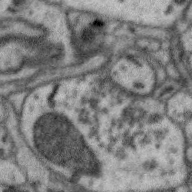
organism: Zebra finch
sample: Brain